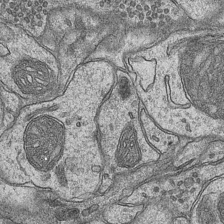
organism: Mouse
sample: CA1 Hippocampus